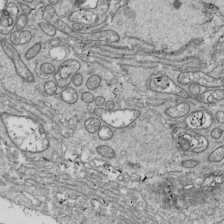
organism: Drosophila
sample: Cell division; meiosis; drosophila spermatocytes